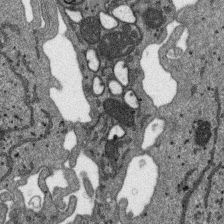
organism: Human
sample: Lung epithelial cells infected with SARS-CoV-2